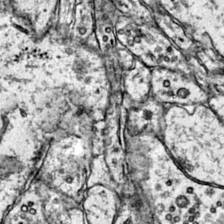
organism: Mouse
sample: Primary visual cortex